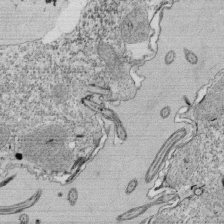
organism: Tetrahymena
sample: Cilia in tetrahymena